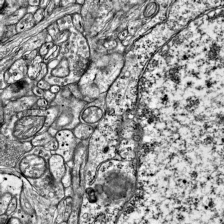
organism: Mouse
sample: Visual Cortex